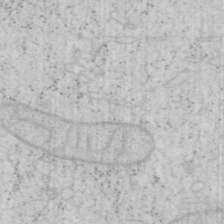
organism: Human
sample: HeLa cells